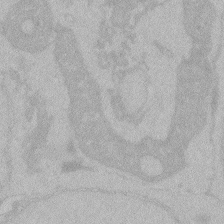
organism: Zebrafish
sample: Macrophage infected with Toxoplasma gondii